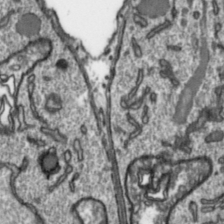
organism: Toxoplasma gondii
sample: Parasites in a vacuole inside a host cell